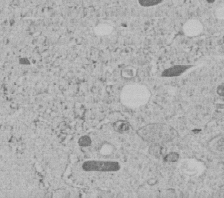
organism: C. elegans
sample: C. elegans embryo early stage